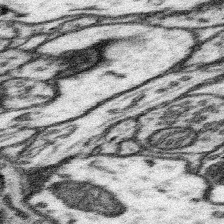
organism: Mouse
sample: Somatosensory cortex neuropil